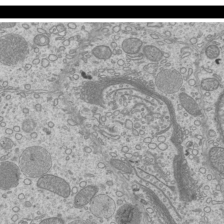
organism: Mouse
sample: Cilia; mouse epididymis